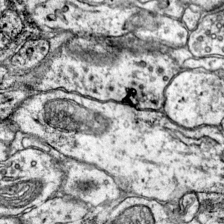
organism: Mouse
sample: Primary visual cortex